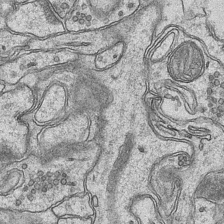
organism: Mouse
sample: CA1 Hippocampus